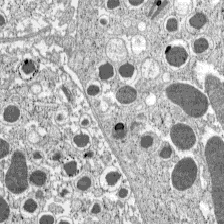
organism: C57BL Mouse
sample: Pancreatic islet